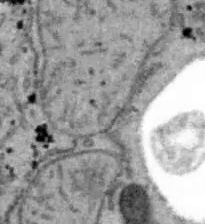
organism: Mouse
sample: Liver from an obese (ob/ob) mouse